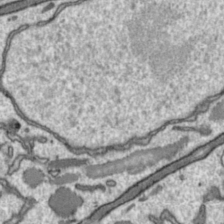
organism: Toxoplasma gondii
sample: Parasites in a vacuole inside a host cell